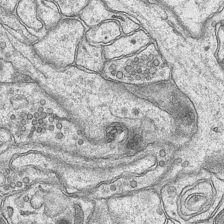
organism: Mouse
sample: CA1 Hippocampus